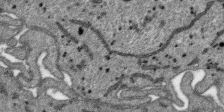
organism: Human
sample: Lung epithelial cells, uninfected (mock) control